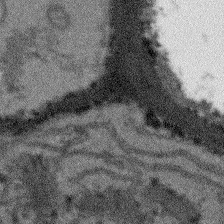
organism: Arabidopsis thaliana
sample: Root tip